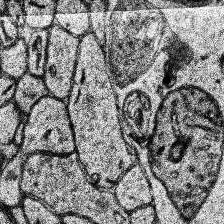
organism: Human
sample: Temporal Lobe